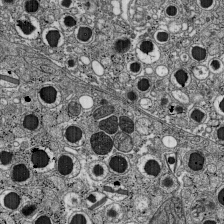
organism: C57BL Mouse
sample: Pancreatic islet